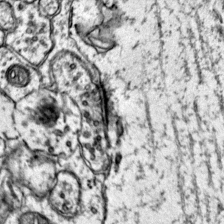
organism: Mouse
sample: Primary visual cortex